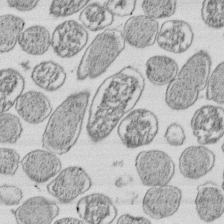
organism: E. coli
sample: Bacterial nucleoid